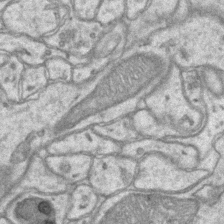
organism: Mouse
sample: CA1 Hippocampus